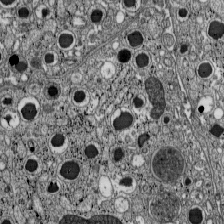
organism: C57BL Mouse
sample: Pancreatic islet